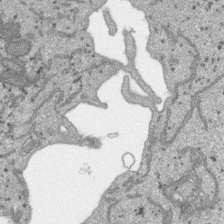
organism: Human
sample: Lung epithelial cells infected with SARS-CoV-2